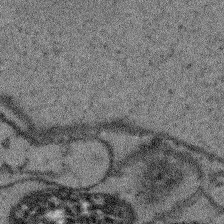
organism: Arabidopsis thaliana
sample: Root tip